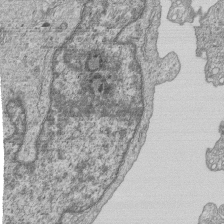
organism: Human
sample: MDA-MB-231 cells